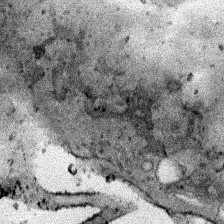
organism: Human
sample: Mitochondria in HCT116 cells